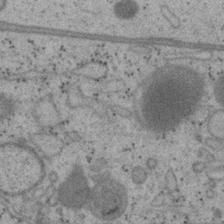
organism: Human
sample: HeLa cells